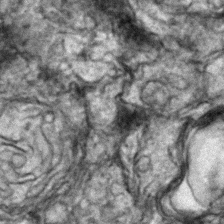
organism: Zebrafish